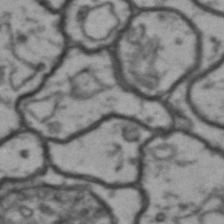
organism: Drosophila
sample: Brain